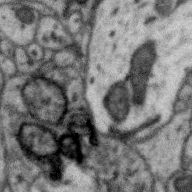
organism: Zebra finch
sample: Brain